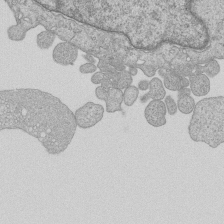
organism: Human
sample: MDA-MB-231 cells